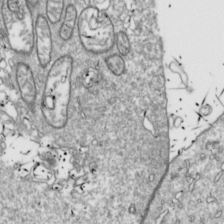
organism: Drosophila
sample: Cell division; meiosis; drosophila spermatocytes